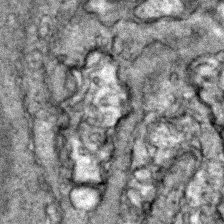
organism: Zebrafish